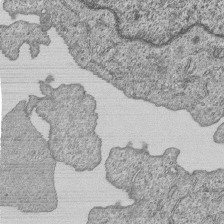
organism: Human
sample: MDA-MB-231 cells